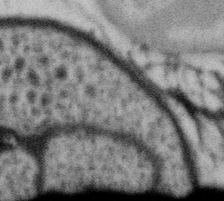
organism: Gemmata obscuriglobus